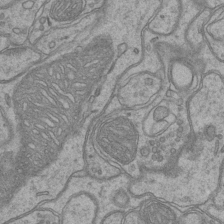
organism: Mouse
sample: CA1 Hippocampus